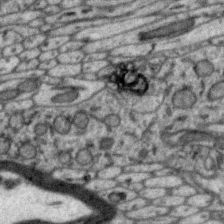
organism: Zebra finch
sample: Brain